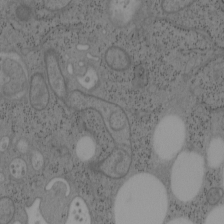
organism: Mouse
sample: OT-I killer T cells with ID8 ovarian cancer cells